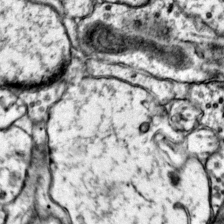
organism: Mouse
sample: Primary visual cortex